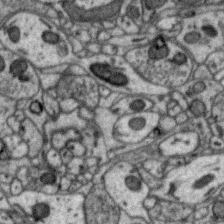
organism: Zebra finch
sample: Brain